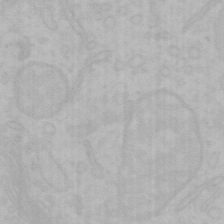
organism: Mouse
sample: Choroid plexus